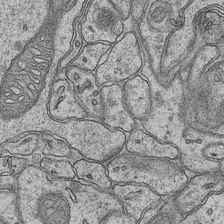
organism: Mouse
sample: CA1 Hippocampus